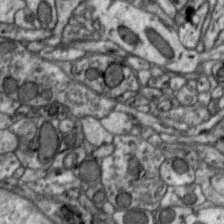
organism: Zebra finch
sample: Brain